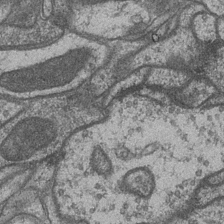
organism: Drosophila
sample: Optic medulla